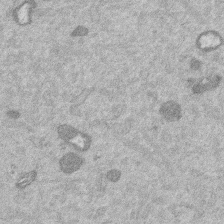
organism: Mouse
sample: Dividing mouse embryo 1 cell stage